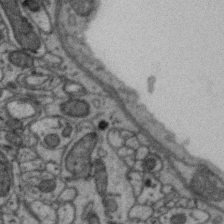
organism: Zebra finch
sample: Brain